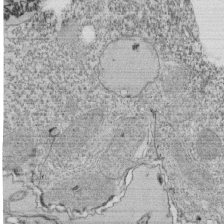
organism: Tetrahymena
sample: Cilia in tetrahymena